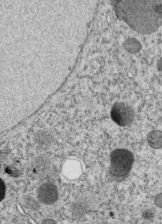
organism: C. elegans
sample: C. elegans embryo early stage